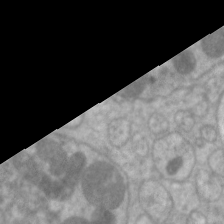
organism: C. elegans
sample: Pharynx